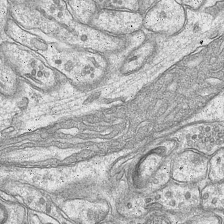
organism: Mouse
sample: CA1 Hippocampus